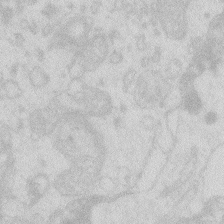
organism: Zebrafish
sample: Macrophage